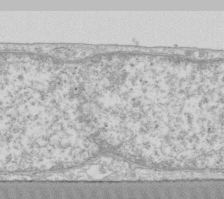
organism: Human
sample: Fibroblast cells